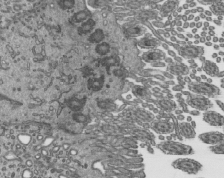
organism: Mouse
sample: Mouse epididymis efferent ductule cilia